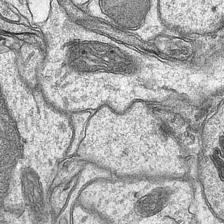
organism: Mouse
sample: CA1 Hippocampus